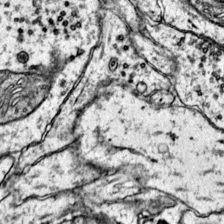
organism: Mouse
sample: Primary visual cortex